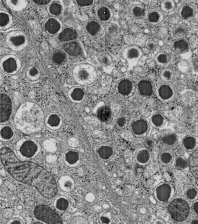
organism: C57BL Mouse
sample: Pancreatic islet